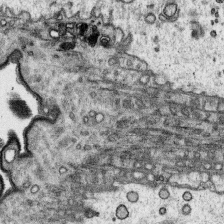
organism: Platynereis dumerilii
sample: Parapodia